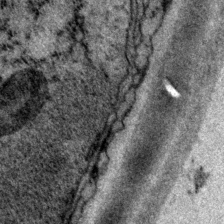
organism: P. pacificus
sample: Pharynx